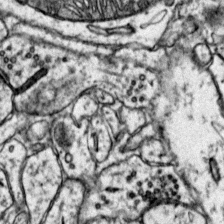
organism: Mouse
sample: Primary visual cortex